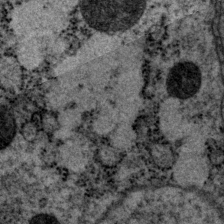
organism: P. pacificus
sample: Pharynx